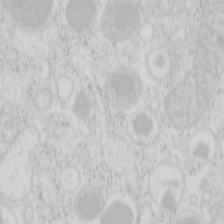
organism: Mouse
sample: Pancreas